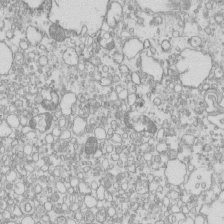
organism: Mouse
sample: Macrophages